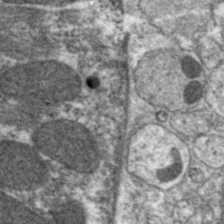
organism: C. elegans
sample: Pharynx